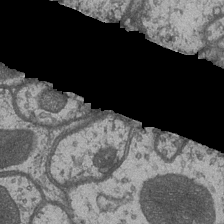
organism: Drosophila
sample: Optic medulla